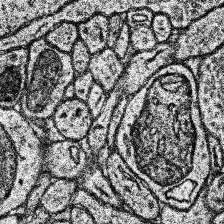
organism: Human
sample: Temporal Lobe